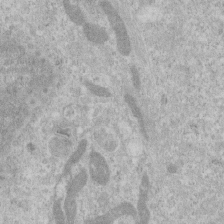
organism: Human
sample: Centriole in RPE cells